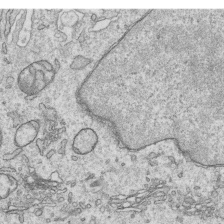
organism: Human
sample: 1205lu cells